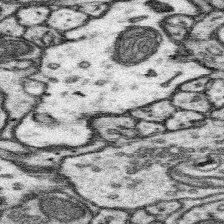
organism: Mouse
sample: Somatosensory cortex neuropil